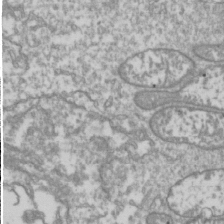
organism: Drosophila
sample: Cell division; meiosis; drosophila spermatocytes